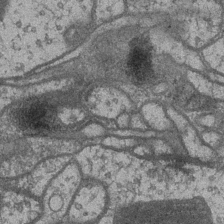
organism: Drosophila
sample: Optic medulla